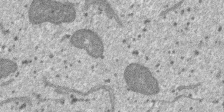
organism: Human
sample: Lung epithelial cells infected with SARS-CoV-2